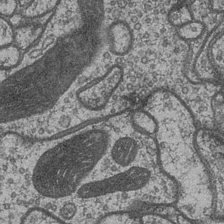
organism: Drosophila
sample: Optic medulla